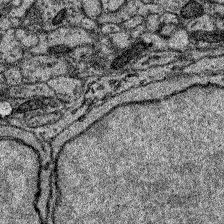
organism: Zebrafish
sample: Larval olfactory bulb